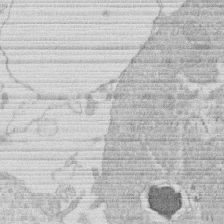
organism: Human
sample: Macrophage cells